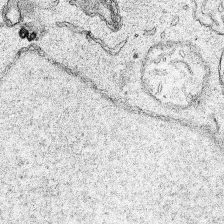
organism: Human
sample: Mitochondria in HCT116 cells